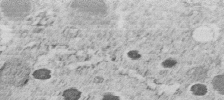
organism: C. elegans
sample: C. elegans embryo early stage